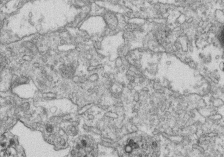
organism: Human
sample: HeLa cell HIV synapse